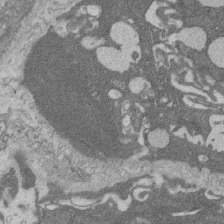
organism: Rat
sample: Salivary granule